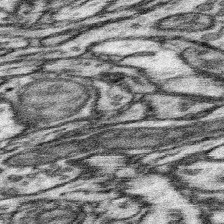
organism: Mouse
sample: Somatosensory cortex neuropil